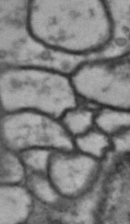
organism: Drosophila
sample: Brain